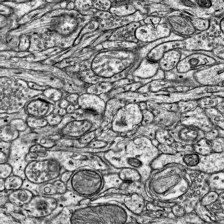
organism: Mouse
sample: Visual Cortex